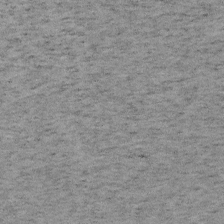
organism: Mouse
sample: OT-I killer T cells with ID8 ovarian cancer cells